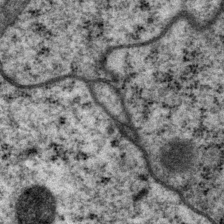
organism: P. pacificus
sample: Pharynx